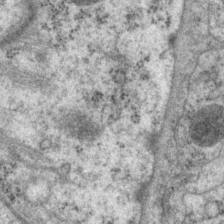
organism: P. pacificus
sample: Pharynx